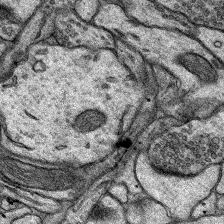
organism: Rat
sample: Hippocampus